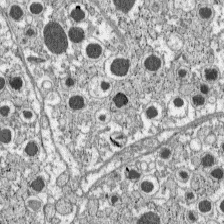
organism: C57BL Mouse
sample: Pancreatic islet